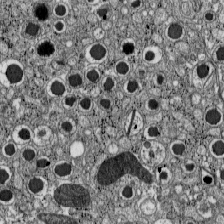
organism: C57BL Mouse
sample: Pancreatic islet